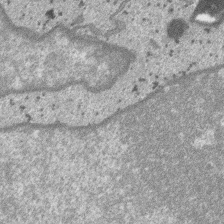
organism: Human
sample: Lung epithelial cells infected with SARS-CoV-2